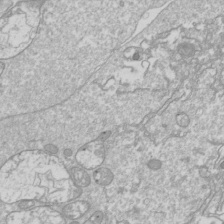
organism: Drosophila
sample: Cell division; meiosis; drosophila spermatocytes